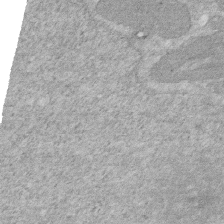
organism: Human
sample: HIV infected U937 cells